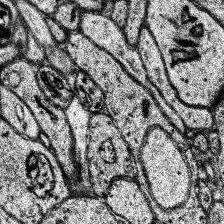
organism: Human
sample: Temporal Lobe